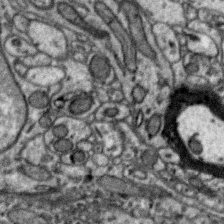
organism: Zebra finch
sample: Brain